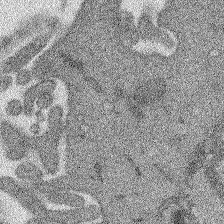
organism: Human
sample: HeLa cells